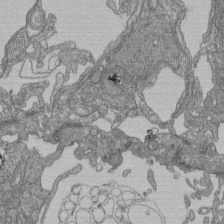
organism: Human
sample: Retinal organoid Rod and Cone cells